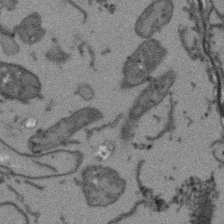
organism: Arabidopsis thaliana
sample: Root tip